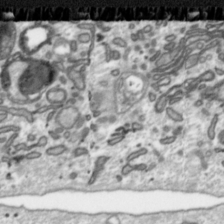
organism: Toxoplasma gondii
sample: Parasites in a vacuole inside a host cell